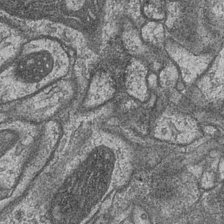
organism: Drosophila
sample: Optic medulla